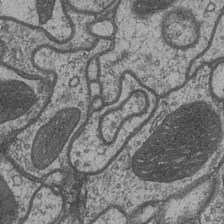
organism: Drosophila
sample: Optic medulla